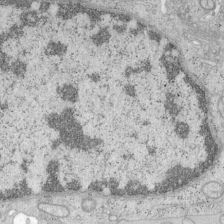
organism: Mouse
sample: OT-I killer T cells with ID8 ovarian cancer cells